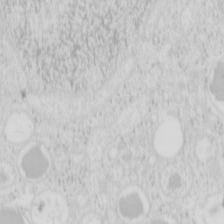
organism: Mouse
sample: Pancreas